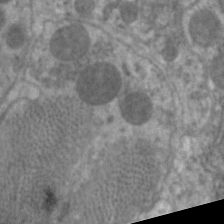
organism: C. elegans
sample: Pharynx